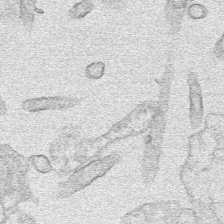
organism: Human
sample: Mitochondria in HCT116 cells